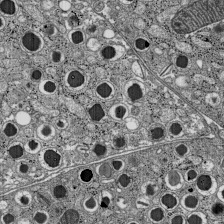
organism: C57BL Mouse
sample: Pancreatic islet